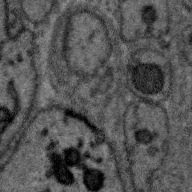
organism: Zebra finch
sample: Brain